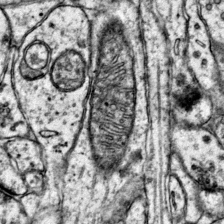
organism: Mouse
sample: Primary visual cortex